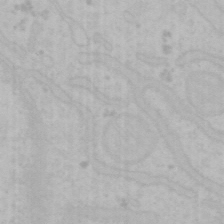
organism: Mouse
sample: Choroid plexus